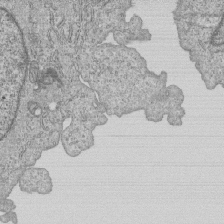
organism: Human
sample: MDA-MB-231 cells